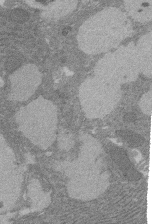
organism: Rat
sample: Salivary granule